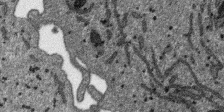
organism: Human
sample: Lung epithelial cells infected with SARS-CoV-2